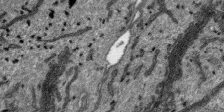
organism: Human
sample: Lung epithelial cells, uninfected (mock) control